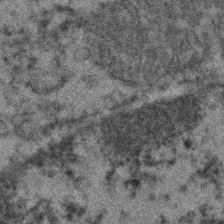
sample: Kidney